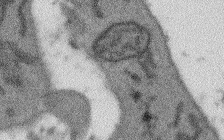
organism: Arabidopsis thaliana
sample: Root tip